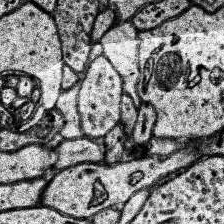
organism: Human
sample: Temporal Lobe